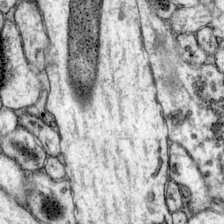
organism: Mouse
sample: Primary visual cortex